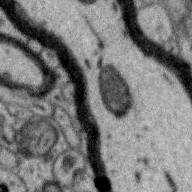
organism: Zebra finch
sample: Brain